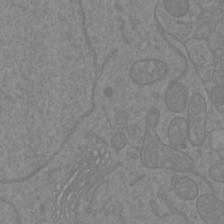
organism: Mouse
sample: Cortical neurons